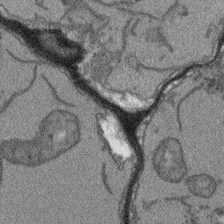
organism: Arabidopsis thaliana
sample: Root tip